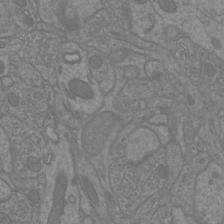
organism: Mouse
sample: Cortical neurons